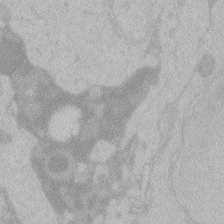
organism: Zebrafish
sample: Macrophage infected with Toxoplasma gondii